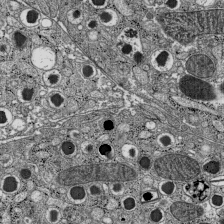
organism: C57BL Mouse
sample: Pancreatic islet